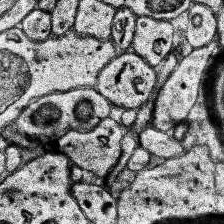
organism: Human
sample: Temporal Lobe